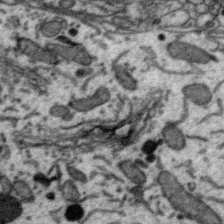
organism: Zebra finch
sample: Brain